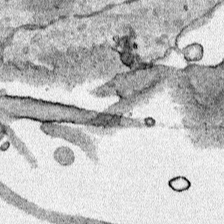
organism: Human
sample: Mitochondria in HCT116 cells